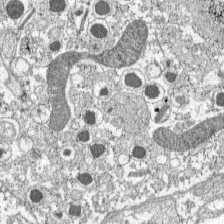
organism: C57BL Mouse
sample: Pancreatic islet